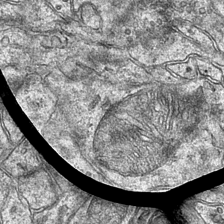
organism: Mouse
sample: CA1 Hippocampus